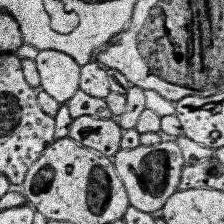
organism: Human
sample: Temporal Lobe